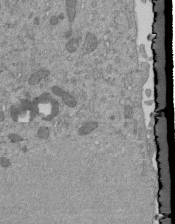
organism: Mouse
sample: ED-1 cell nuclei; centrioles